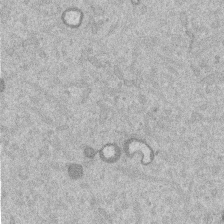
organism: Mouse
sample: Dividing mouse embryo 1 cell stage